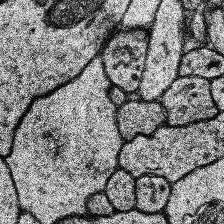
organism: Human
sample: Temporal Lobe